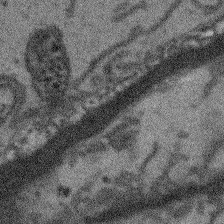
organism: Arabidopsis thaliana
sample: Root tip